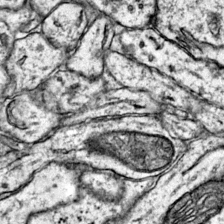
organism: Mouse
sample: Primary visual cortex